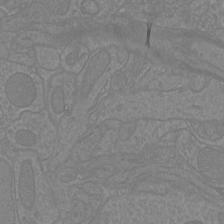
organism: Mouse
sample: Cortical neurons